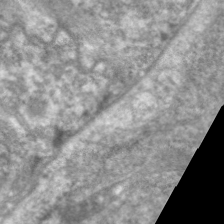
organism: C. elegans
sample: Pharynx